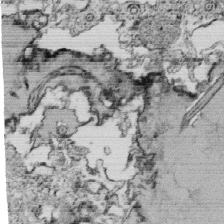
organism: Tetrahymena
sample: Cilia in tetrahymena